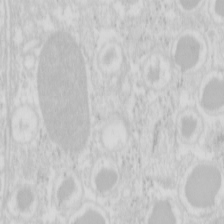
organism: Mouse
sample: Pancreas